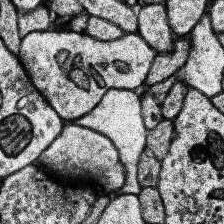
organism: Human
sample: Temporal Lobe